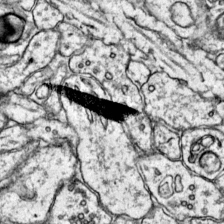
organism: Mouse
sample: Primary visual cortex